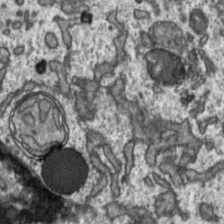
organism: Toxoplasma gondii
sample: Parasites in a vacuole inside a host cell